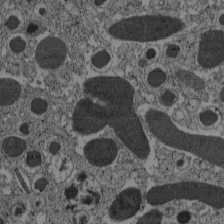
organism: C57BL Mouse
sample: Pancreatic islet